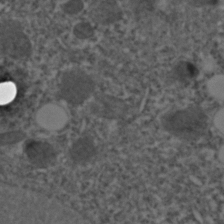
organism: C. elegans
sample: C. elegans embryo